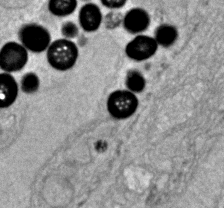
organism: Zebrafish